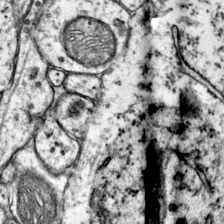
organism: Mouse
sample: Primary visual cortex